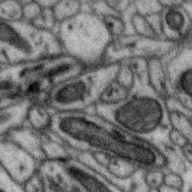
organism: Zebra finch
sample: Brain